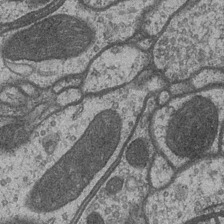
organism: Drosophila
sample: Optic medulla